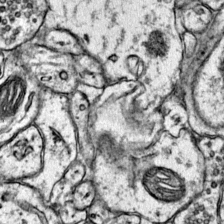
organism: Mouse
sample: Primary visual cortex